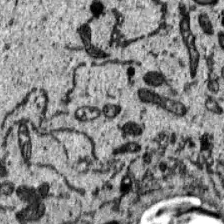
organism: Human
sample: HeLa cells